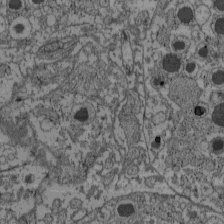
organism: C57BL Mouse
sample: Pancreatic islet